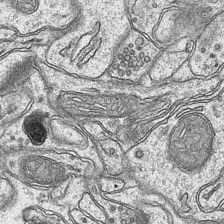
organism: Mouse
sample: CA1 Hippocampus